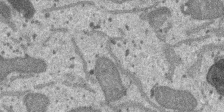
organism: Human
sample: Lung epithelial cells infected with SARS-CoV-2